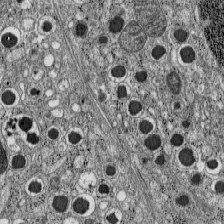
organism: C57BL Mouse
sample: Pancreatic islet